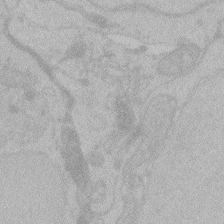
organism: Zebrafish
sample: Macrophage infected with Toxoplasma gondii